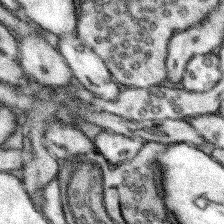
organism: Mouse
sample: Somatosensory cortex neuropil